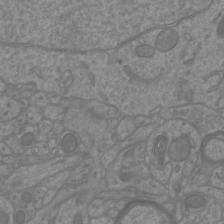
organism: Mouse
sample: Cortical neurons